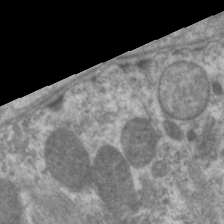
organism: C. elegans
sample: Pharynx